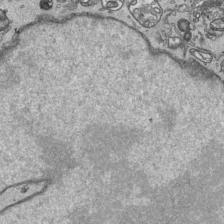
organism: Human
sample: Mitochondria in HCT116 cells